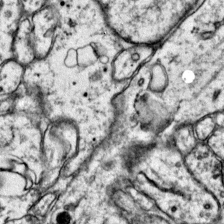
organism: Mouse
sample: Primary visual cortex